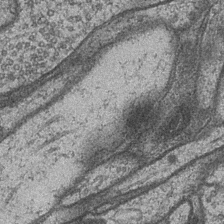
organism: Drosophila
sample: Optic medulla